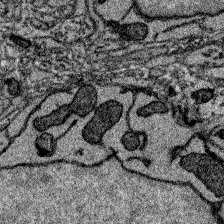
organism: Zebrafish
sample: Larval olfactory bulb